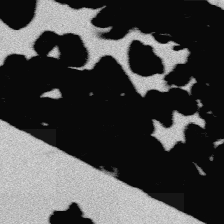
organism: Platynereis dumerilii